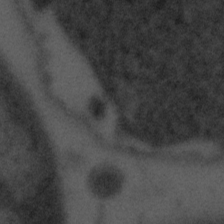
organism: Tuwongella immobilis